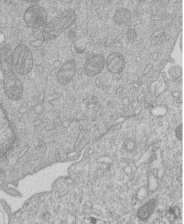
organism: Human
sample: Macrophage cells